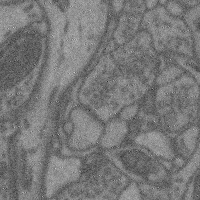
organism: Mouse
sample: Cerebral cortex